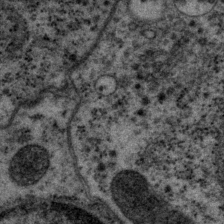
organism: P. pacificus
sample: Pharynx